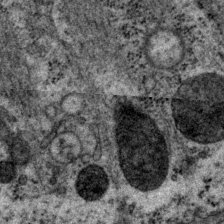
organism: P. pacificus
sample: Pharynx